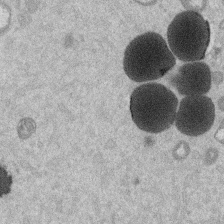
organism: Mouse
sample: Dividing mouse embryo 1 cell stage